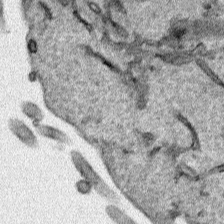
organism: Human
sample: Mitochondria in HCT116 cells